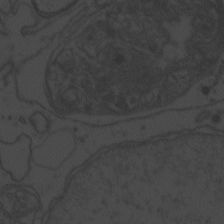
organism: Zebrafish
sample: Macrophage infected with Toxoplasma gondii